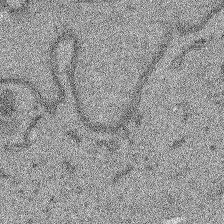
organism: Human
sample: HeLa cells